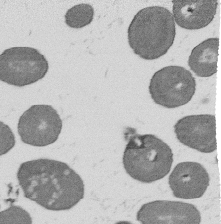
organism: B. subtilis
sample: Bacterial spore